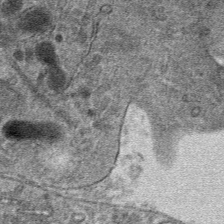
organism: Mouse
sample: Mouse hepatocytes